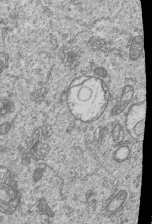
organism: Human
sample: MDA-MB-231 cells